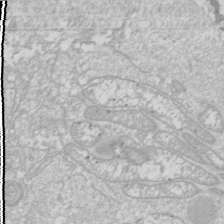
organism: Drosophila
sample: Cell division; meiosis; drosophila spermatocytes